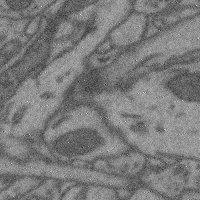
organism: Mouse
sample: Cerebral cortex